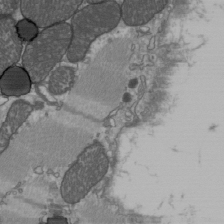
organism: C57BL Mouse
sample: Heart